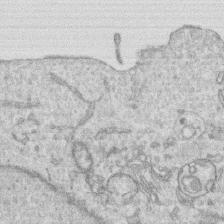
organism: Human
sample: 1205lu cells